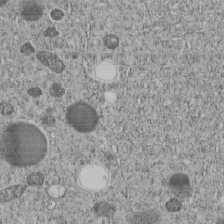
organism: C. elegans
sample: C. elegans embryo early stage